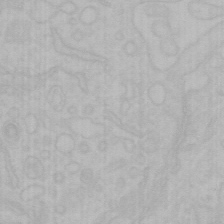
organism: Mouse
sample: Choroid plexus